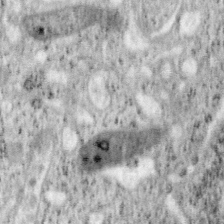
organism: Mouse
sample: OT-I killer T cells with ID8 ovarian cancer cells